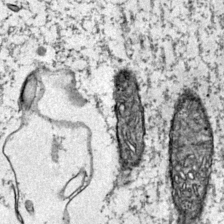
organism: Mouse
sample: Primary visual cortex